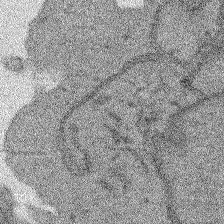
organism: Human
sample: HeLa cells